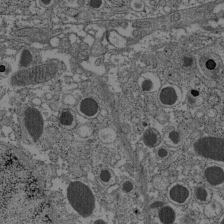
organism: C57BL Mouse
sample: Pancreatic islet